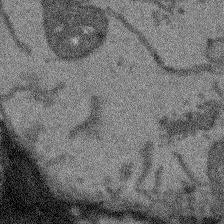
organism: Arabidopsis thaliana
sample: Root tip